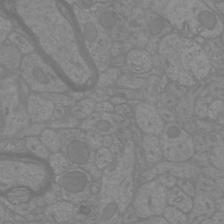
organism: Mouse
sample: Cortical neurons